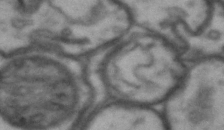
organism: Drosophila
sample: Brain